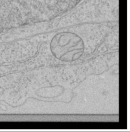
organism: Human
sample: Mitochondria in HCT116 cells